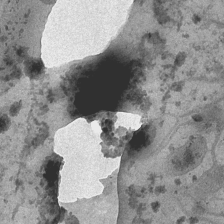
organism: Drosophila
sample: Optic medulla